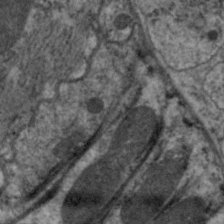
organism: C. elegans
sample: Pharynx